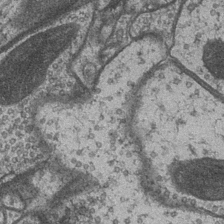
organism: Drosophila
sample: Optic medulla